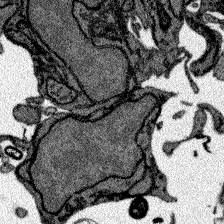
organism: Zebrafish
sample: Larval olfactory bulb